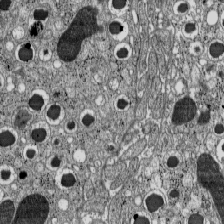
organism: C57BL Mouse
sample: Pancreatic islet